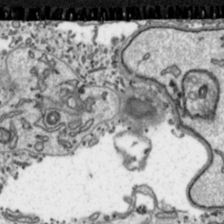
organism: Toxoplasma gondii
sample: Parasites in a vacuole inside a host cell